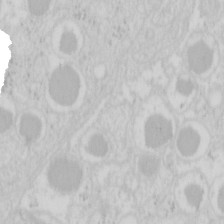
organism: Mouse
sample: Pancreas